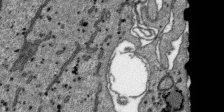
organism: Human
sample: Lung epithelial cells, uninfected (mock) control